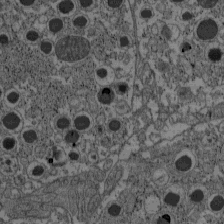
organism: C57BL Mouse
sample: Pancreatic islet